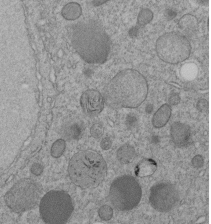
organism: C. elegans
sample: C. elegans embryo early stage